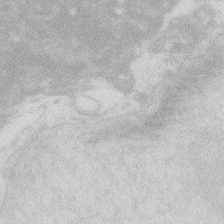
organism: Zebrafish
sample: Macrophage